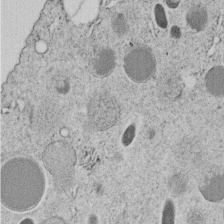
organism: C. elegans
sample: C. elegans embryo early stage